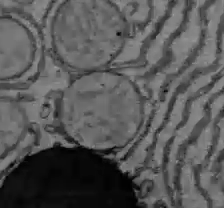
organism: C57BL Mouse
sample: Liver